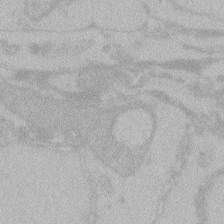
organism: Zebrafish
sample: Macrophage infected with Toxoplasma gondii